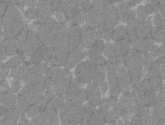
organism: C57BL Mouse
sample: Tibialis anterior muscle cell